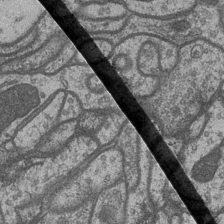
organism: Drosophila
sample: Optic medulla